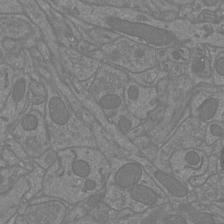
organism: Mouse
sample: Cortical neurons